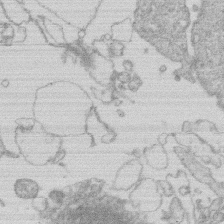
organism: Human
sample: Macrophage cells